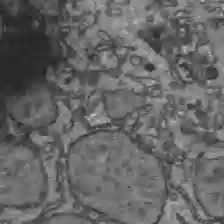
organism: C57BL Mouse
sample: Liver